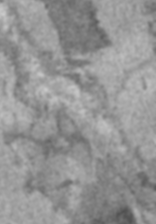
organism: C57BL Mouse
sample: Heart